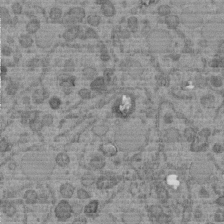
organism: C. elegans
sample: C. elegans embryo early stage